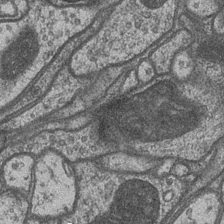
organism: Drosophila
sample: Optic medulla